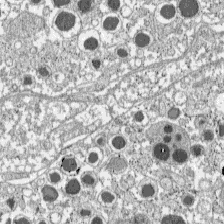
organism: C57BL Mouse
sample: Pancreatic islet